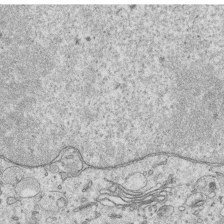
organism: Human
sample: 1205lu cells